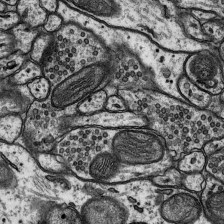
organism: Rat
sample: Hippocampus